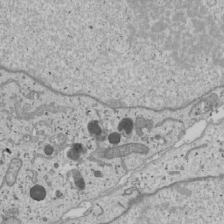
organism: Human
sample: Mitochondria in U2OS cells